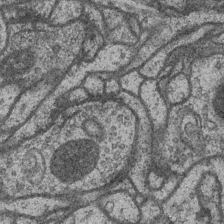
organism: Drosophila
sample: Optic medulla